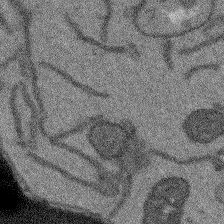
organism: Arabidopsis thaliana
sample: Root tip